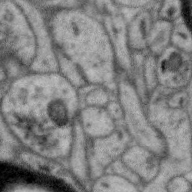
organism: Zebra finch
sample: Brain